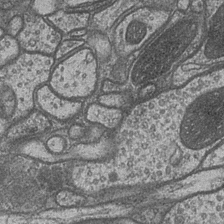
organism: Drosophila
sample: Optic medulla